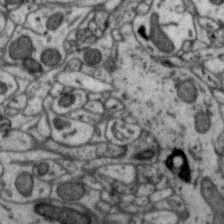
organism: Zebra finch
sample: Brain